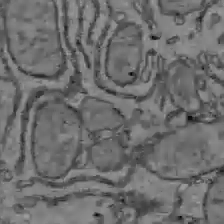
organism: C57BL Mouse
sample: Liver